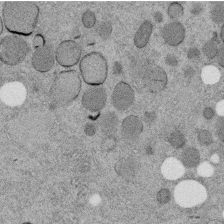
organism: C. elegans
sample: C. elegans embryo early stage